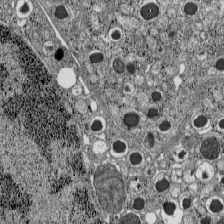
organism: C57BL Mouse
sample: Pancreatic islet